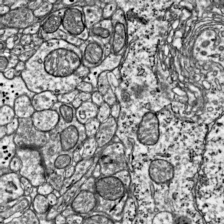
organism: Mouse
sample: Visual Cortex